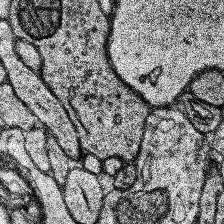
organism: Human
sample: Temporal Lobe